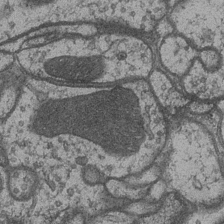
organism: Drosophila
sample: Optic medulla